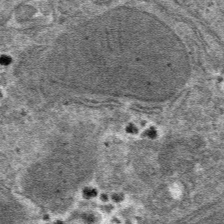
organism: Mouse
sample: Mouse hepatocytes